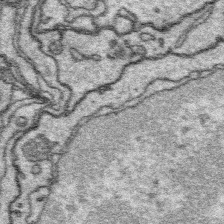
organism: Platynereis dumerilii